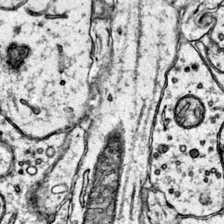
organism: Mouse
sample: Primary visual cortex